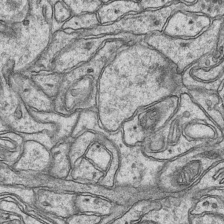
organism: Mouse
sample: CA1 Hippocampus